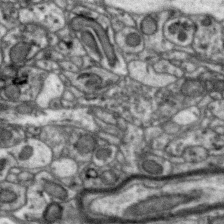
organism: Zebra finch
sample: Brain